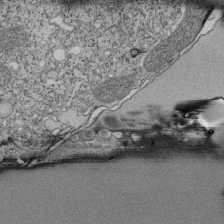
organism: Tetrahymena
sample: Cilia in tetrahymena